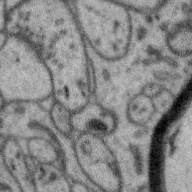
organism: Zebra finch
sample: Brain